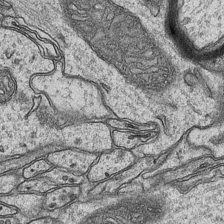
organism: Mouse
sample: CA1 Hippocampus